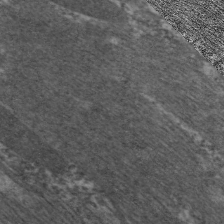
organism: C. elegans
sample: Pharynx